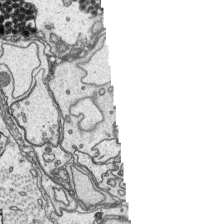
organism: Platynereis dumerilii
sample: Parapodia